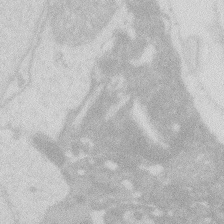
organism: Zebrafish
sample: Macrophage